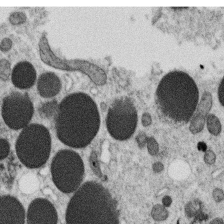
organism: C. elegans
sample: C. elegans oocyte; sperm cells